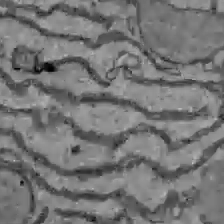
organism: C57BL Mouse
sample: Liver